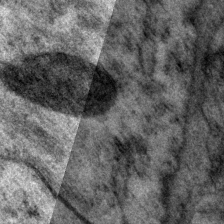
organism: P. pacificus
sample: Pharynx